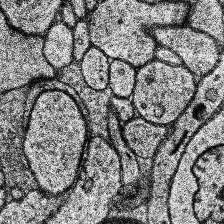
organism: Human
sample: Temporal Lobe